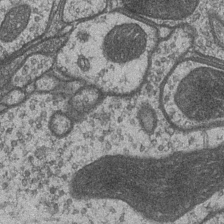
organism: Drosophila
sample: Optic medulla